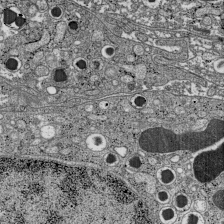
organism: C57BL Mouse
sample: Pancreatic islet